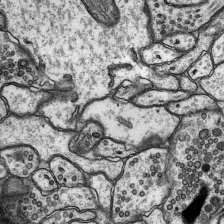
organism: Rat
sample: Hippocampus